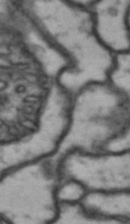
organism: Drosophila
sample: Brain